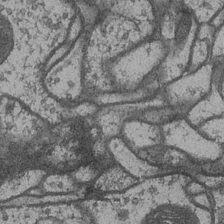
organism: Drosophila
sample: Optic medulla